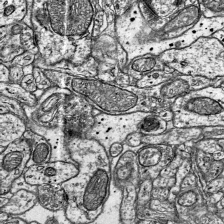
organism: Mouse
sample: Visual Cortex